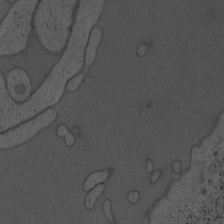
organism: Mouse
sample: OT-I killer T cells with ID8 ovarian cancer cells